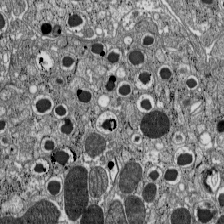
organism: C57BL Mouse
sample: Pancreatic islet